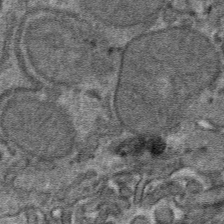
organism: Mouse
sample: Mouse hepatocytes